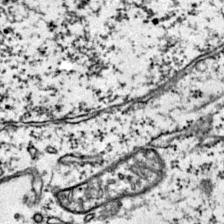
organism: Mouse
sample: Primary visual cortex